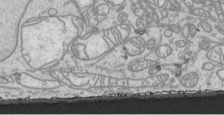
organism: Human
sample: Mitochondria in HCT116 cells